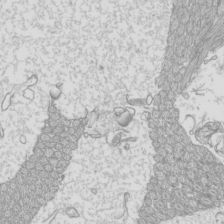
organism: Mouse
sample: Cilia; mouse epididymis